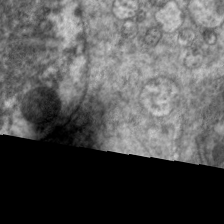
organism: C. elegans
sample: Pharynx